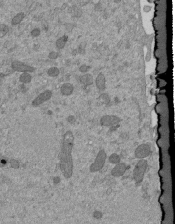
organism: Mouse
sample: ED-1 cell nuclei; centrioles